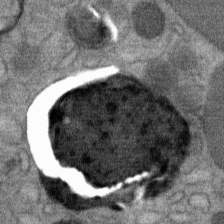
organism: Mouse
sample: Mouse Salivary gland